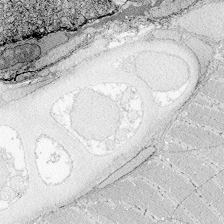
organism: Zebrafish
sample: Whole-Brain